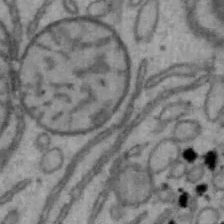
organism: Mouse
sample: Liver